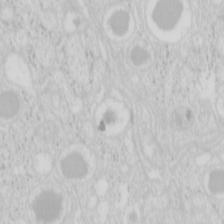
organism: Mouse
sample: Pancreas